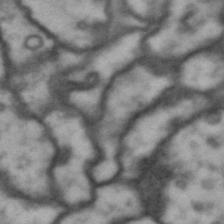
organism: Drosophila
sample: Brain